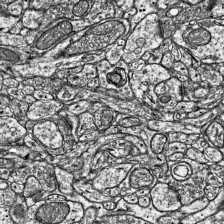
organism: Mouse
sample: Visual Cortex